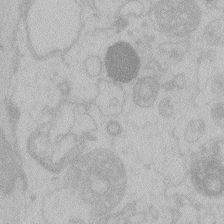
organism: Zebrafish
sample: Macrophage infected with Toxoplasma gondii